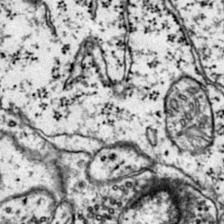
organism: Mouse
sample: Primary visual cortex